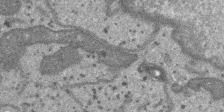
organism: Human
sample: Lung epithelial cells infected with SARS-CoV-2